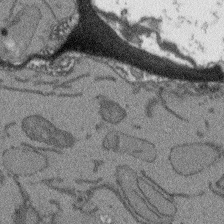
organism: Arabidopsis thaliana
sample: Root tip